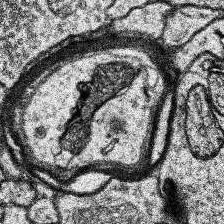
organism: Human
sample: Temporal Lobe